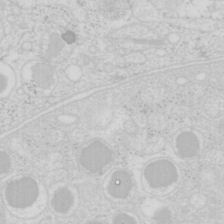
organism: Mouse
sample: Pancreas